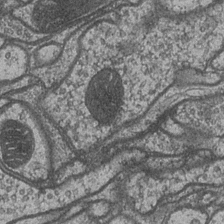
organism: Drosophila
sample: Optic medulla